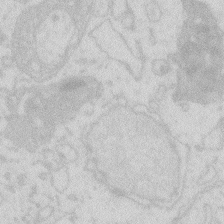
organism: Zebrafish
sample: Macrophage